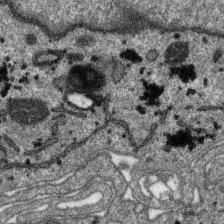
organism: Human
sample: Lung epithelial cells infected with SARS-CoV-2